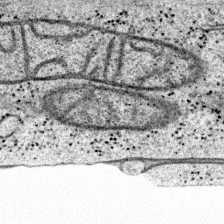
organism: Human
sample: HeLa cells